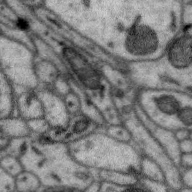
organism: Zebra finch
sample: Brain